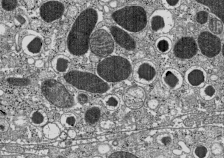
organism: C57BL Mouse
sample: Pancreatic islet